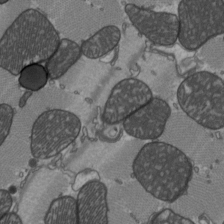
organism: C57BL Mouse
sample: Heart